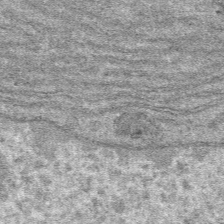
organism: Mouse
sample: Mouse hepatocytes